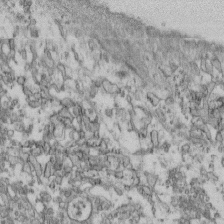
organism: Mouse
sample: Cilia; retinal pigment epithelium